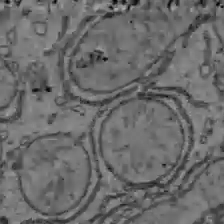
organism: C57BL Mouse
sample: Liver